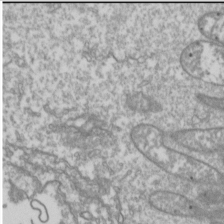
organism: Drosophila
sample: Cell division; meiosis; drosophila spermatocytes